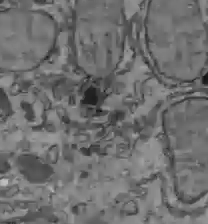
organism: C57BL Mouse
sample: Liver